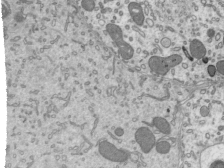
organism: Mouse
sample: Mouse epididymis efferent ductule cilia